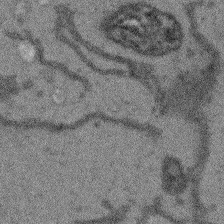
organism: Arabidopsis thaliana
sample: Root tip